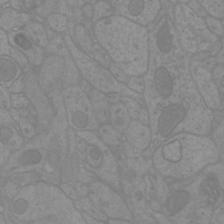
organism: Mouse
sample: Cortical neurons